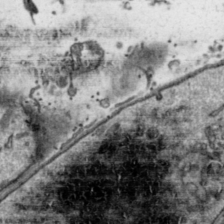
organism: Toxoplasma gondii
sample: Parasites in a vacuole inside a host cell